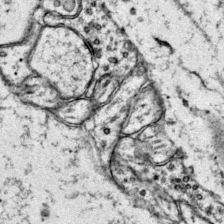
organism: Mouse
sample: Primary visual cortex